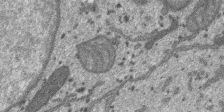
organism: Human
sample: Lung epithelial cells infected with SARS-CoV-2